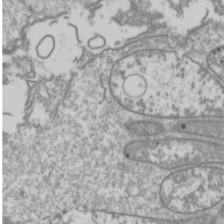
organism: Drosophila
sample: Cell division; meiosis; drosophila spermatocytes